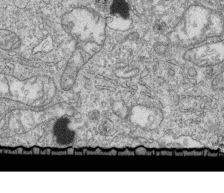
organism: Human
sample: HeLa cell HIV synapse